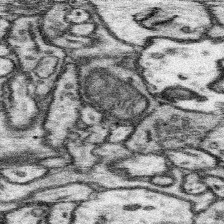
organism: Mouse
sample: Somatosensory cortex neuropil